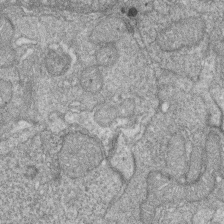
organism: Zebrafish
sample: Cilia; retinal pigment epithelium